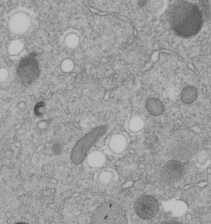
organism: C. elegans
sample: C. elegans embryo early stage